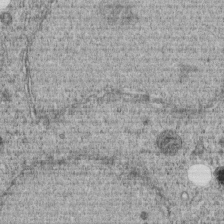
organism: C. elegans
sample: C. elegans embryo early stage